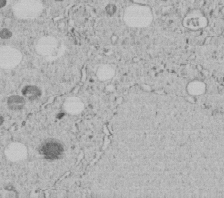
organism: C. elegans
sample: C. elegans embryo early stage